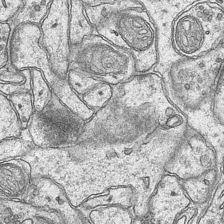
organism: Mouse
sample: CA1 Hippocampus